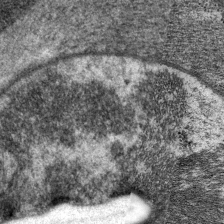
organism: P. pacificus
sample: Pharynx